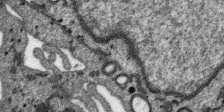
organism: Human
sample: Lung epithelial cells infected with SARS-CoV-2